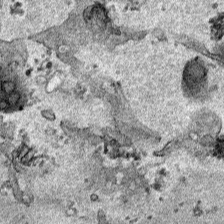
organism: Human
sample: Mitochondria in HCT116 cells